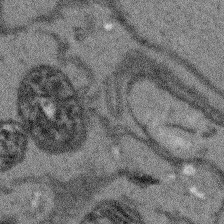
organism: Arabidopsis thaliana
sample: Root tip